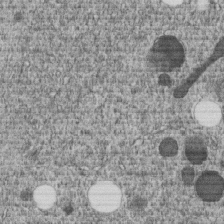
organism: C. elegans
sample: C. elegans embryo early stage